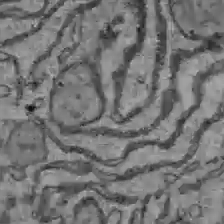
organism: C57BL Mouse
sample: Liver